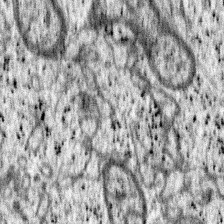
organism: Human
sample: HeLa cells